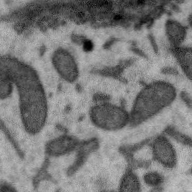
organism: Zebra finch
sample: Brain